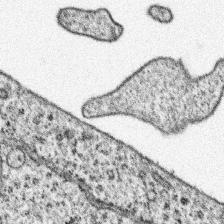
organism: Human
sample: HeLa cells